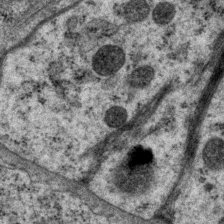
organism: P. pacificus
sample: Pharynx